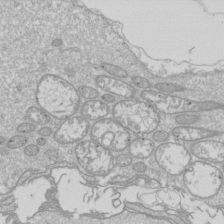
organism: Drosophila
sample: Cell division; meiosis; drosophila spermatocytes